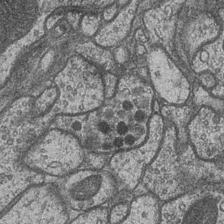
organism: Drosophila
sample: Optic medulla